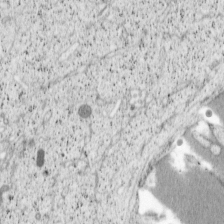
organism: African green monkey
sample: COS-7 cells